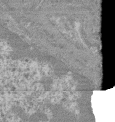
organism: Mouse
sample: Glomerulus